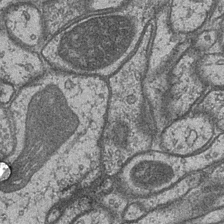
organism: Drosophila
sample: Optic medulla